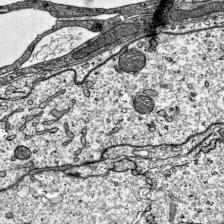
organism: Mouse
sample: Visual Cortex